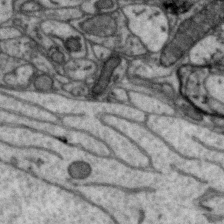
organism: Zebra finch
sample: Brain